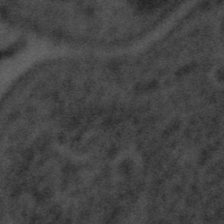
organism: Tuwongella immobilis